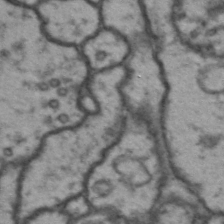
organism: Drosophila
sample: Brain